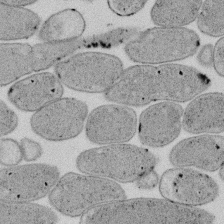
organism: E. coli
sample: Bacterial nucleoid